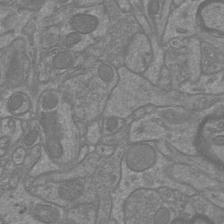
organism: Mouse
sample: Cortical neurons